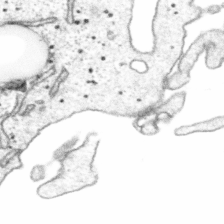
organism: Human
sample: HeLa cells